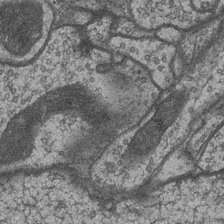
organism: Drosophila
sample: Optic medulla